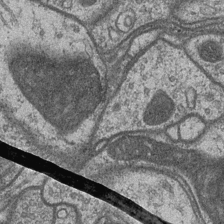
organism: Drosophila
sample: Optic medulla